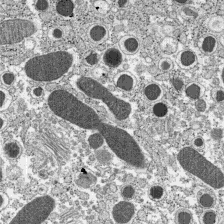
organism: C57BL Mouse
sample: Pancreatic islet